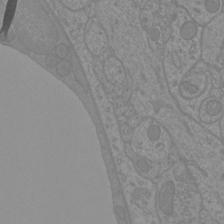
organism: Mouse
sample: Cortical neurons